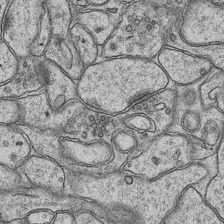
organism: Mouse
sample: CA1 Hippocampus